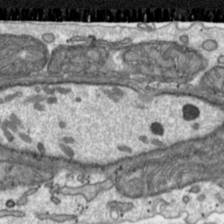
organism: Toxoplasma gondii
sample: Parasites in a vacuole inside a host cell